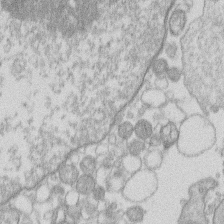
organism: Human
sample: Macrophage cells